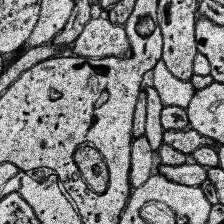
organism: Human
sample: Temporal Lobe